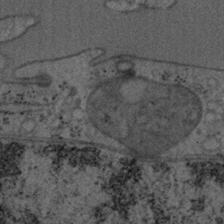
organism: Human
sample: HeLa cells